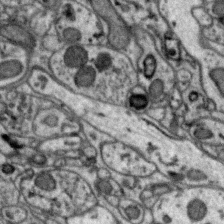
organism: Zebra finch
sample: Brain